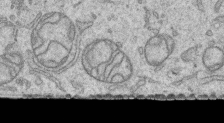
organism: Human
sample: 1205lu cells